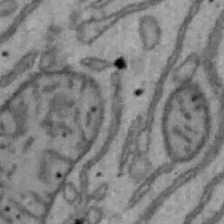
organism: Mouse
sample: Liver